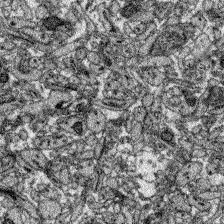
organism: Zebrafish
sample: Larval olfactory bulb